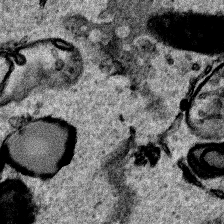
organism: Human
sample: Mitochondria in HCT116 cells